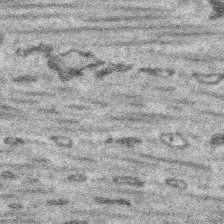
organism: Platynereis dumerilii